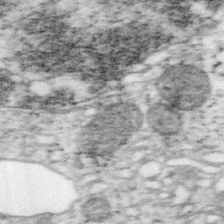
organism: Mouse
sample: OT-I killer T cells with ID8 ovarian cancer cells